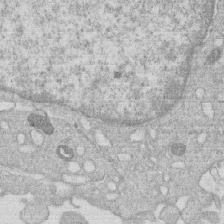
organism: Human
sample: Macrophage cells